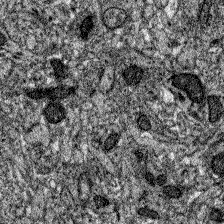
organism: Zebrafish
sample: Larval olfactory bulb